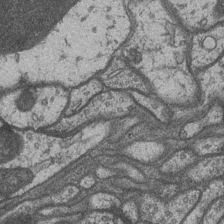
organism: Drosophila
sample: Optic medulla